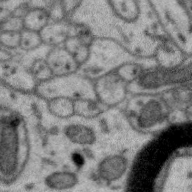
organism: Zebra finch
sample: Brain